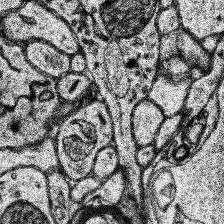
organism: Human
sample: Temporal Lobe